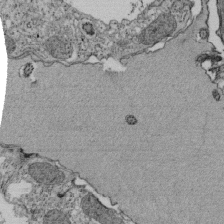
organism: Tetrahymena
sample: Cilia in tetrahymena